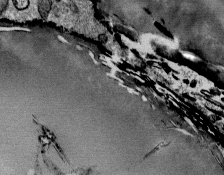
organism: Mouse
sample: Mouse Salivary gland